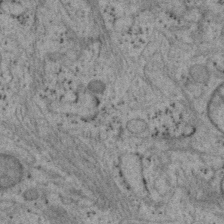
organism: Human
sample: HeLa cells